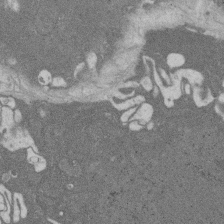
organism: Rat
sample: Salivary granule